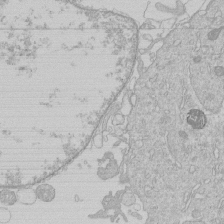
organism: Human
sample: Macrophage cells